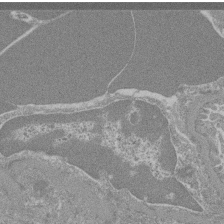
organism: Mouse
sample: Glomerulus